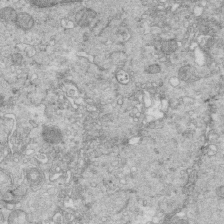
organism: Mouse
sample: Multiciliated cells